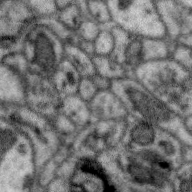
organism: Zebra finch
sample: Brain